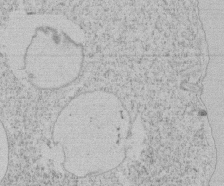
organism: Tetrahymena